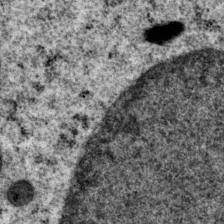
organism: P. pacificus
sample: Pharynx